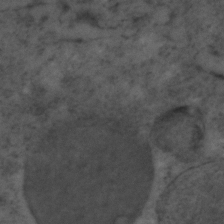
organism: C. elegans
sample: C. elegans embryo